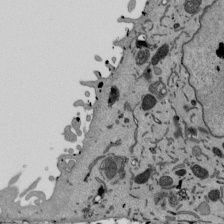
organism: Mouse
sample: ED-1 cell nuclei; centrioles